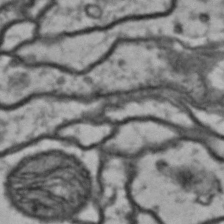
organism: Drosophila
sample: Brain